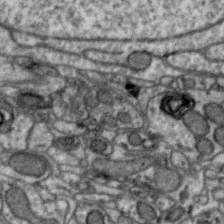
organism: Zebra finch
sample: Brain